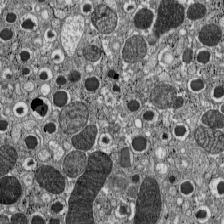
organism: C57BL Mouse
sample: Pancreatic islet